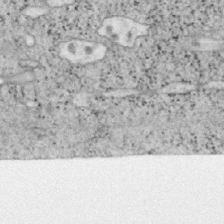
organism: Mouse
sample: OT-I killer T cells with ID8 ovarian cancer cells